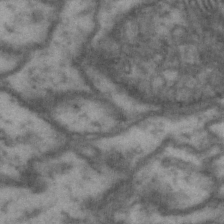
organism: Drosophila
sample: Brain